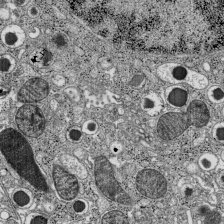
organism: C57BL Mouse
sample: Pancreatic islet